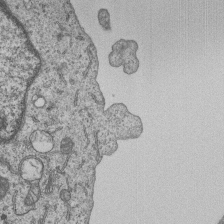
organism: Human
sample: MDA-MB-231 cells